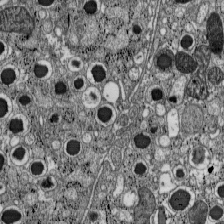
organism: C57BL Mouse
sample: Pancreatic islet